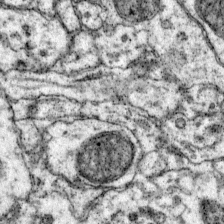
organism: Mouse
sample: Primary visual cortex